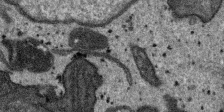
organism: Human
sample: Lung epithelial cells, uninfected (mock) control